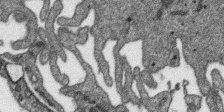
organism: Human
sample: Lung epithelial cells infected with SARS-CoV-2